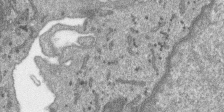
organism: Human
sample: Lung epithelial cells infected with SARS-CoV-2